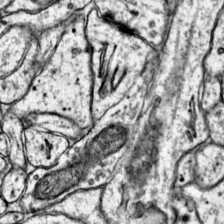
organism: Mouse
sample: Primary visual cortex